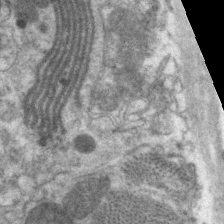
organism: C. elegans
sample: Pharynx